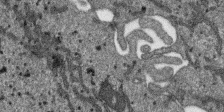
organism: Human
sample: Lung epithelial cells infected with SARS-CoV-2